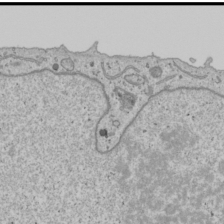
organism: Human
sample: Mitochondria in U2OS cells